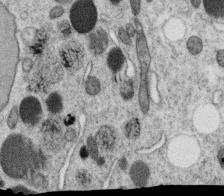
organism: C. elegans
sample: C. elegans oocyte; sperm cells